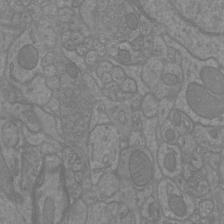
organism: Mouse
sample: Cortical neurons